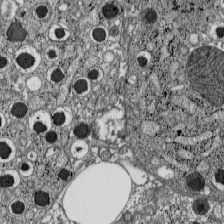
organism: C57BL Mouse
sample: Pancreatic islet